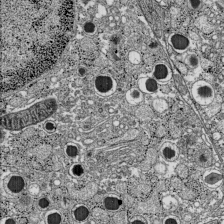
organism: C57BL Mouse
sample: Pancreatic islet